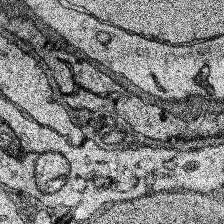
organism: Human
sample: Temporal Lobe